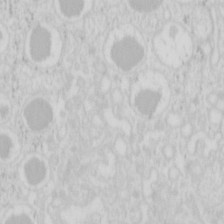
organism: Mouse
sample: Pancreas